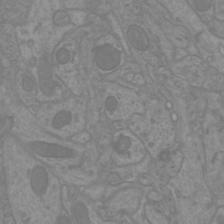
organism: Mouse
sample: Cortical neurons